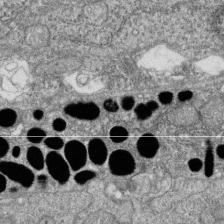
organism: Zebrafish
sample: Cilia; retinal pigment epithelium